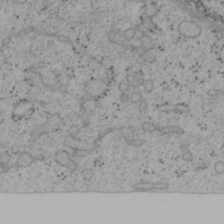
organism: Human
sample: HeLa cells